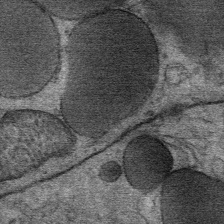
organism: Mouse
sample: Mouse Salivary gland